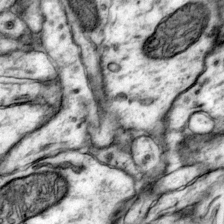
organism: Mouse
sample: Primary visual cortex